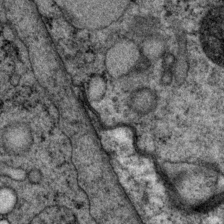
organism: P. pacificus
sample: Pharynx